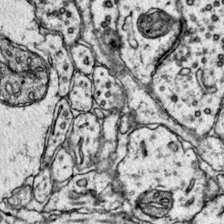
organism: Mouse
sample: Primary visual cortex